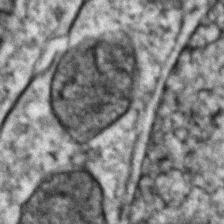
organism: Zebrafish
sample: Zebrafish embryo